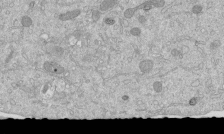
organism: Mouse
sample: ED-1 cell nuclei; centrioles